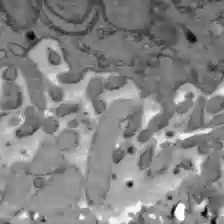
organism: C57BL Mouse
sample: Liver